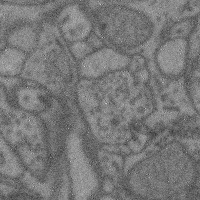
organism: Mouse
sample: Cerebral cortex